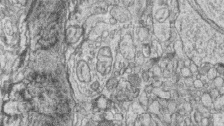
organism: Zebrafish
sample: synaptic ribbons in rod cells and cone cells